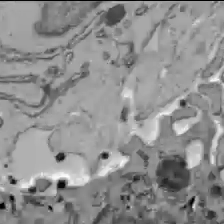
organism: C57BL Mouse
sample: Liver